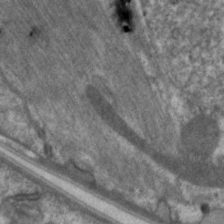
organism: C. elegans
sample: Pharynx